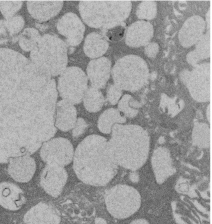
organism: Rat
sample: Salivary granule